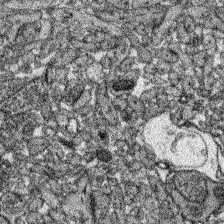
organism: Zebrafish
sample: Larval olfactory bulb